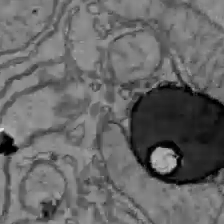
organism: C57BL Mouse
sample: Liver